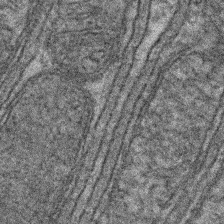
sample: Kidney